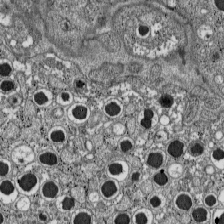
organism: C57BL Mouse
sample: Pancreatic islet